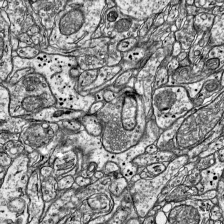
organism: Mouse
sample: Visual Cortex